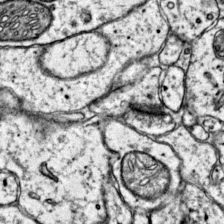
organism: Mouse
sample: Primary visual cortex